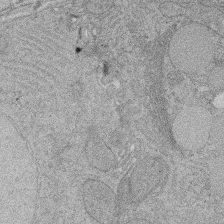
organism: Rat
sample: Salivary granule